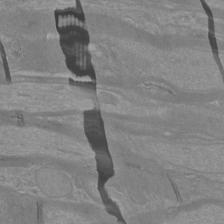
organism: Mouse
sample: Cortical neurons